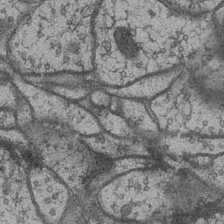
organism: Drosophila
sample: Optic medulla